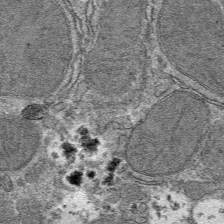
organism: Mouse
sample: Mouse hepatocytes